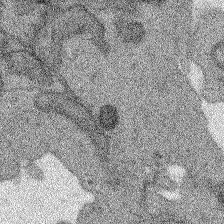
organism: Human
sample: HeLa cells